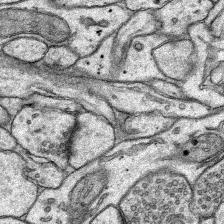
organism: Rat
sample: Hippocampus